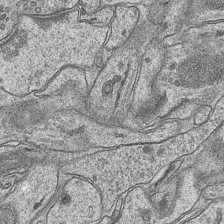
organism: Mouse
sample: CA1 Hippocampus